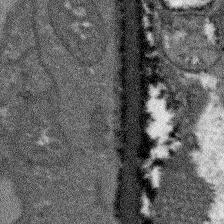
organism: Arabidopsis thaliana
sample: Root tip